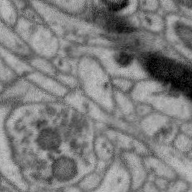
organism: Zebra finch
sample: Brain